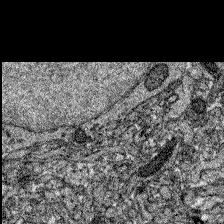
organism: Zebrafish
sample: Larval olfactory bulb